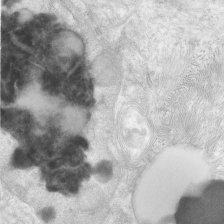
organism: Human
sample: Neocortex